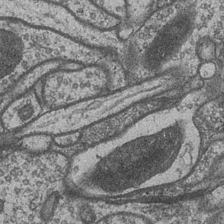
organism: Drosophila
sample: Optic medulla